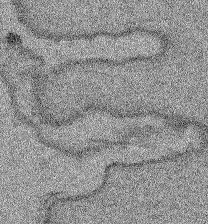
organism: Human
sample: HeLa cells